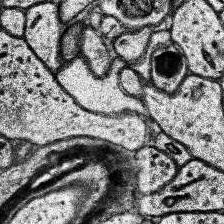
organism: Human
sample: Temporal Lobe